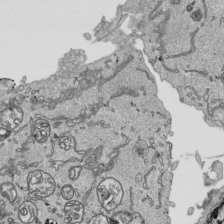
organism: Human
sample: Mitochondria in HCT116 cells